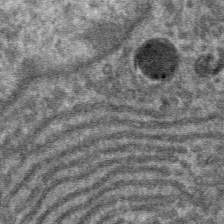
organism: Mouse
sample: Mouse hepatocytes